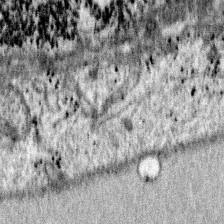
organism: Human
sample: HeLa cells